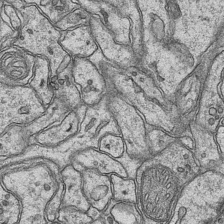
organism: Mouse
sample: CA1 Hippocampus